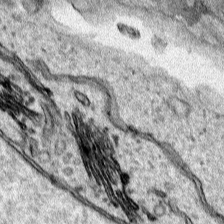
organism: Human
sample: Mitochondria in HCT116 cells